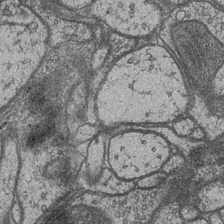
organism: Drosophila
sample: Optic medulla